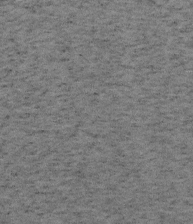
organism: Mouse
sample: OT-I killer T cells with ID8 ovarian cancer cells